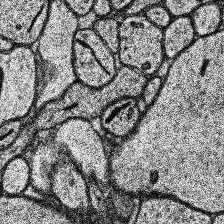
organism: Human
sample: Temporal Lobe